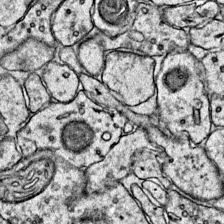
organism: Mouse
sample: Primary visual cortex